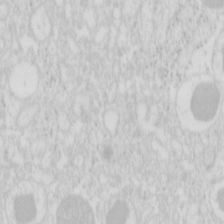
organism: Mouse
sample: Pancreas